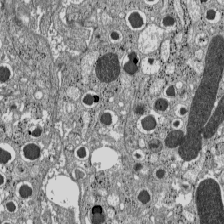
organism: C57BL Mouse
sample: Pancreatic islet